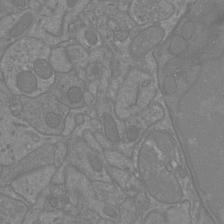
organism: Mouse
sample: Cortical neurons